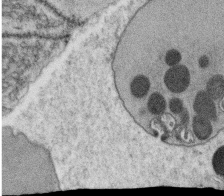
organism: C. elegans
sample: C. elegans oocyte; sperm cells